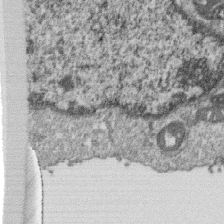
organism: African green monkey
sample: Vero E6 cells infected with SARS-CoV-2